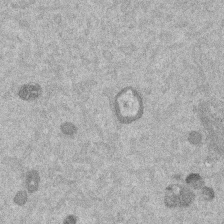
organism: Mouse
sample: Dividing mouse embryo 1 cell stage